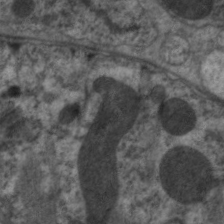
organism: C. elegans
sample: Pharynx